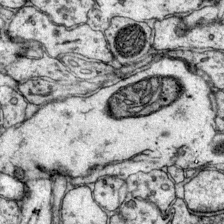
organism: Mouse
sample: Primary visual cortex